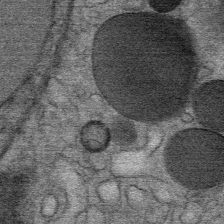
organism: Mouse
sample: Mouse Salivary gland